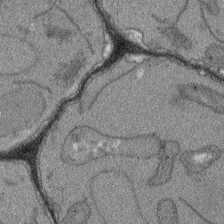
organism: Arabidopsis thaliana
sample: Root tip